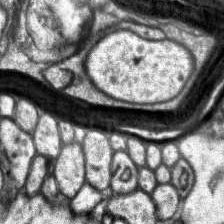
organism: Human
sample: Temporal Lobe